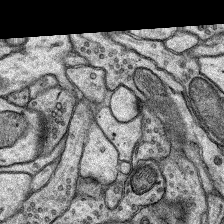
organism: Rat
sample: Hippocampus